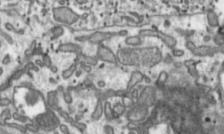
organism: Toxoplasma gondii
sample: Parasites in a vacuole inside a host cell